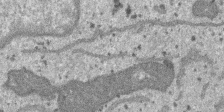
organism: Human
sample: Lung epithelial cells infected with SARS-CoV-2